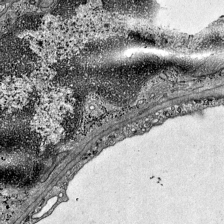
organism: Mouse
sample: Visual Cortex